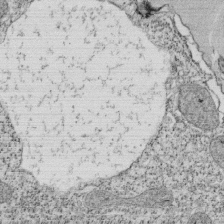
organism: Tetrahymena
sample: Cilia in tetrahymena